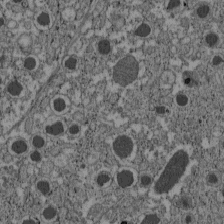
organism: C57BL Mouse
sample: Pancreatic islet